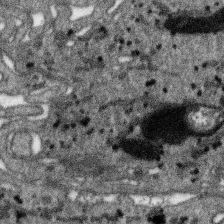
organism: Human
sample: Lung epithelial cells infected with SARS-CoV-2